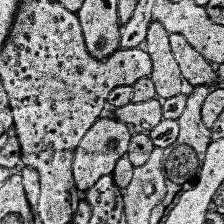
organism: Human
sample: Temporal Lobe